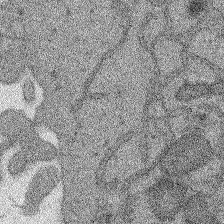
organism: Human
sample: HeLa cells